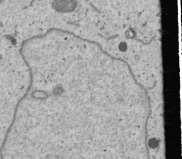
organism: Human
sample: Mitochondria in U2OS cells